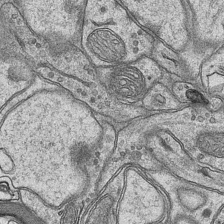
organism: Mouse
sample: CA1 Hippocampus